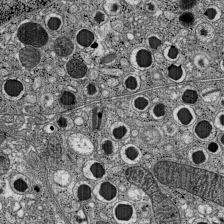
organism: C57BL Mouse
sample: Pancreatic islet